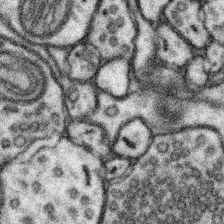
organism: Mouse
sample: Somatosensory cortex neuropil